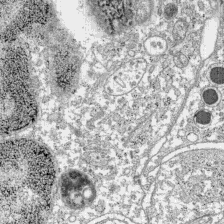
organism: C57BL Mouse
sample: Pancreatic islet